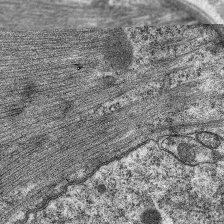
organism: C. elegans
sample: Pharynx